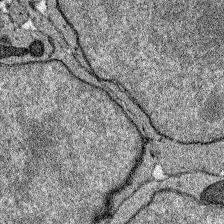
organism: Zebrafish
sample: Larval olfactory bulb